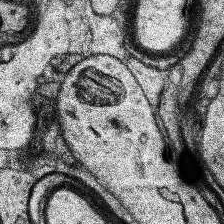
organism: Human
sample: Temporal Lobe